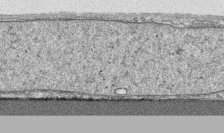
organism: Human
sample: CRL-1474